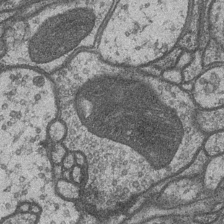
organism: Drosophila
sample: Optic medulla